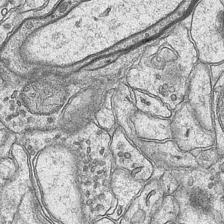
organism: Mouse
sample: CA1 Hippocampus